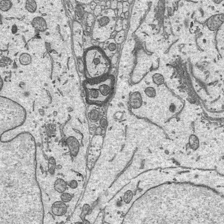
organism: Mouse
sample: Suprachiasmatic nucleus